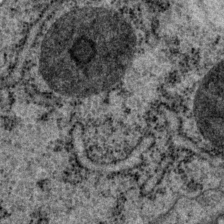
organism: P. pacificus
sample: Pharynx